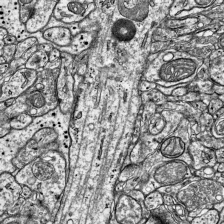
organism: Mouse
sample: Visual Cortex